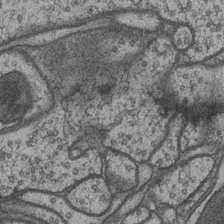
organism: Drosophila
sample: Optic medulla